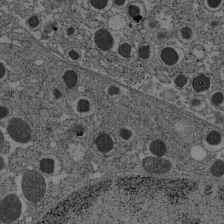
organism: C57BL Mouse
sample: Pancreatic islet